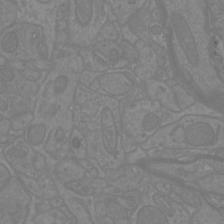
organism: Mouse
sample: Cortical neurons